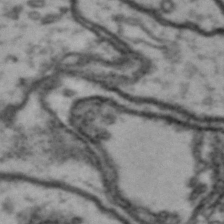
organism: Drosophila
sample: Brain